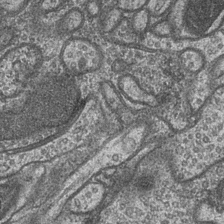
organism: Drosophila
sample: Optic medulla